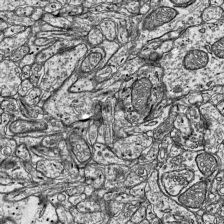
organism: Mouse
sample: Visual Cortex